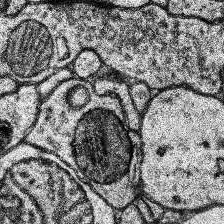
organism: Human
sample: Temporal Lobe